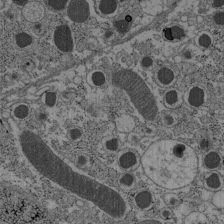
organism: C57BL Mouse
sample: Pancreatic islet